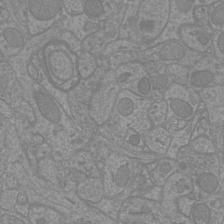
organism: Mouse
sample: Cortical neurons